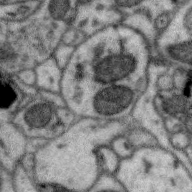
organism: Zebra finch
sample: Brain